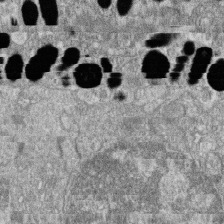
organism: Zebrafish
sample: Cilia; retinal pigment epithelium